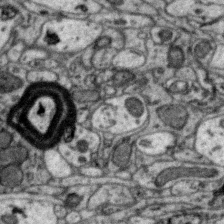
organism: Zebra finch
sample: Brain